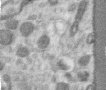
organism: Human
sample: Centriole in RPE cells